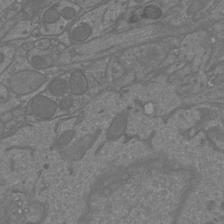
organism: Mouse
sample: Cortical neurons